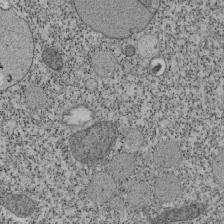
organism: Tetrahymena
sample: Cilia in tetrahymena